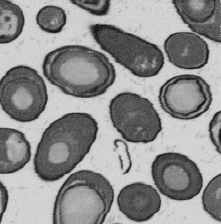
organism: B. subtilis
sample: Bacterial spore